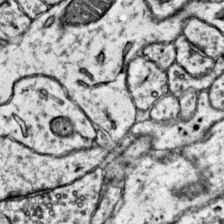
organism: Mouse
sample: Primary visual cortex